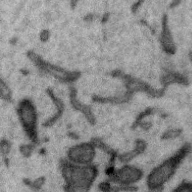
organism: Zebra finch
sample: Brain